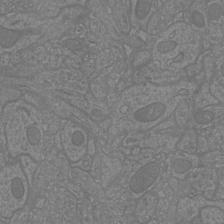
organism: Mouse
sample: Cortical neurons